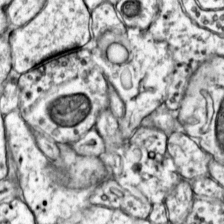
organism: Mouse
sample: Primary visual cortex